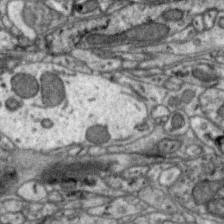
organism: Zebra finch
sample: Brain